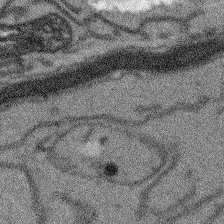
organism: Arabidopsis thaliana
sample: Root tip